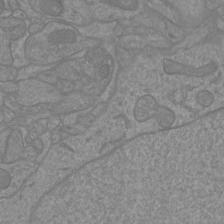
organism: Mouse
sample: Cortical neurons